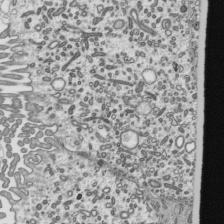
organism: Mouse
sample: Mouse epididymis efferent ductule cilia